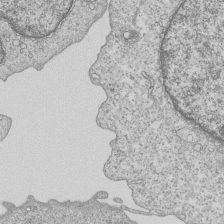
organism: Human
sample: MDA-MB-231 cells